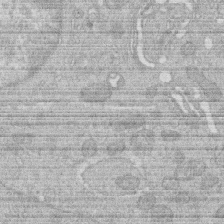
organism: Human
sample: Macrophage cells